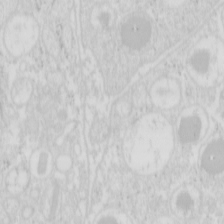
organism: Mouse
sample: Pancreas